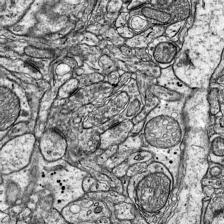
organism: Mouse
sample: Visual Cortex